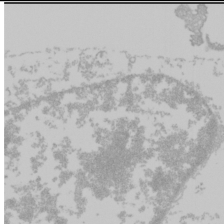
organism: Mouse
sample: Cancer cell death in ED-1 cells